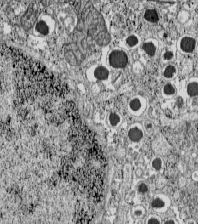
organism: C57BL Mouse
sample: Pancreatic islet